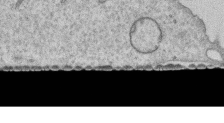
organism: Human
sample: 1205lu cells